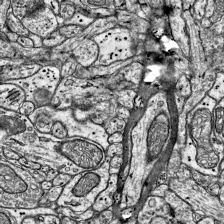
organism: Mouse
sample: Visual Cortex